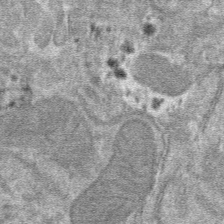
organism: Mouse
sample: Mouse hepatocytes